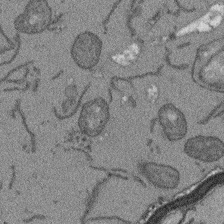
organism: Arabidopsis thaliana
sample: Root tip